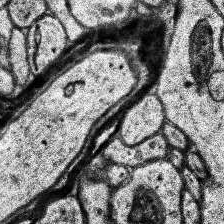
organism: Human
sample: Temporal Lobe